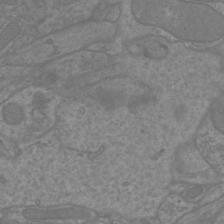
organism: Mouse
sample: Cortical neurons